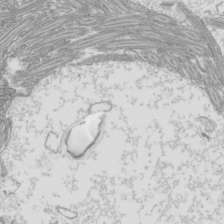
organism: Mouse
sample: Cilia; mouse epididymis